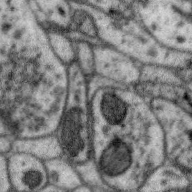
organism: Zebra finch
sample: Brain